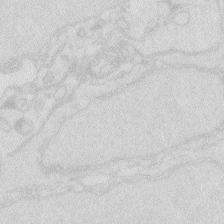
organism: Zebrafish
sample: Macrophage